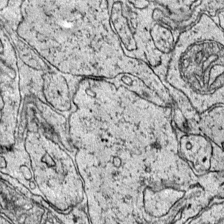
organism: Mouse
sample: Primary visual cortex